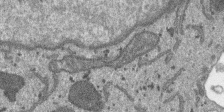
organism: Human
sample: Lung epithelial cells infected with SARS-CoV-2